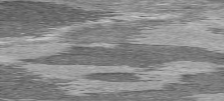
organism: C57BL Mouse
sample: Heart